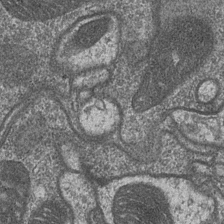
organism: Drosophila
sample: Optic medulla